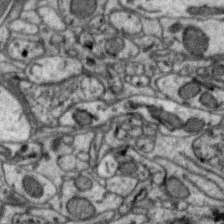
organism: Zebra finch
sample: Brain